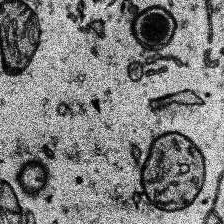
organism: Human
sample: Temporal Lobe